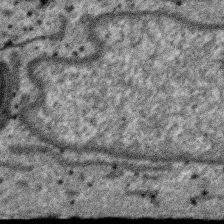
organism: Human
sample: Lung epithelial cells infected with SARS-CoV-2